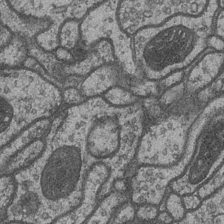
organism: Drosophila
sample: Optic medulla